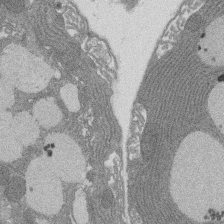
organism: Rat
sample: Salivary granule